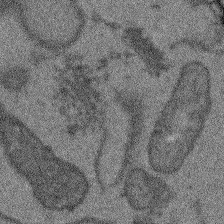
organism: Arabidopsis thaliana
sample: Root tip